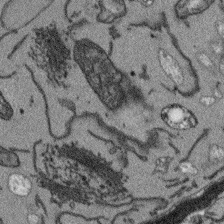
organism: Arabidopsis thaliana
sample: Root tip